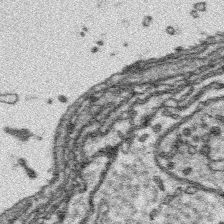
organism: Platynereis dumerilii